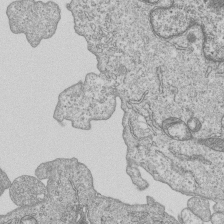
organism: Human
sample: MDA-MB-231 cells